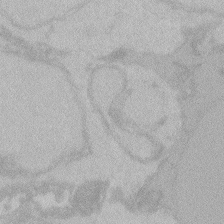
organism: Zebrafish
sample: Macrophage infected with Toxoplasma gondii